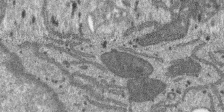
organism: Human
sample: Lung epithelial cells infected with SARS-CoV-2